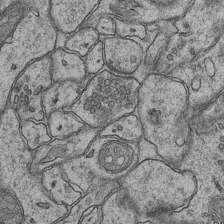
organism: Mouse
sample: CA1 Hippocampus